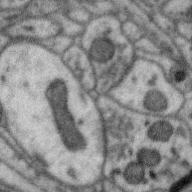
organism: Zebra finch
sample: Brain